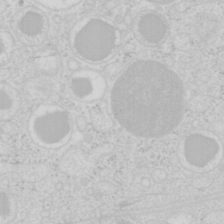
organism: Mouse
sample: Pancreas